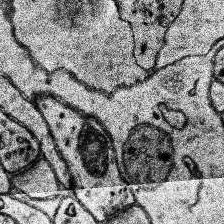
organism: Human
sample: Temporal Lobe